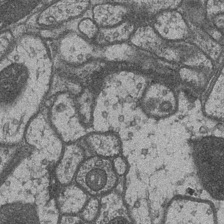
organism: Drosophila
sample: Optic medulla